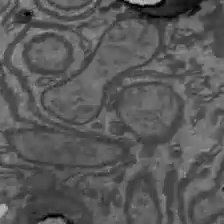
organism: C57BL Mouse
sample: Liver